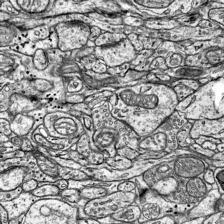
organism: Mouse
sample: Visual Cortex